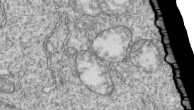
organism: Human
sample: HeLa cell HIV synapse